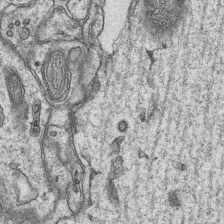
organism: Mouse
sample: CA1 Hippocampus